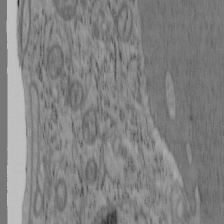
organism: Human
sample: HeLa cells